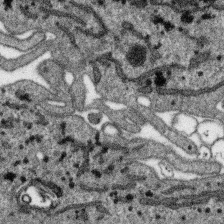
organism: Human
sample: Lung epithelial cells infected with SARS-CoV-2